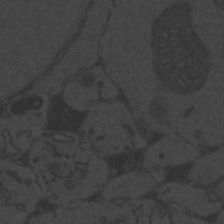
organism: Zebrafish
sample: Macrophage infected with Toxoplasma gondii